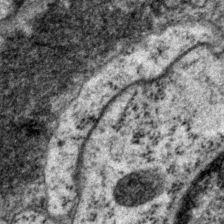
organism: P. pacificus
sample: Pharynx